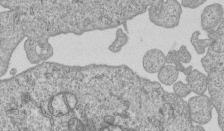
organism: Human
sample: MDA-MB-231 cells